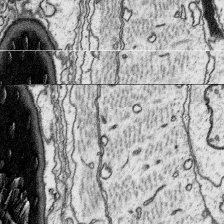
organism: Platynereis dumerilii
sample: Parapodia